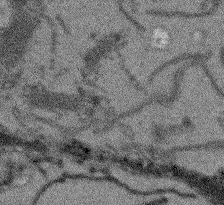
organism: Arabidopsis thaliana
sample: Root tip